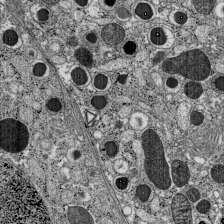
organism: C57BL Mouse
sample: Pancreatic islet